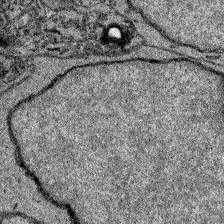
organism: Zebrafish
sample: Larval olfactory bulb